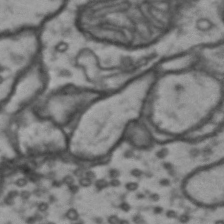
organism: Drosophila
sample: Brain